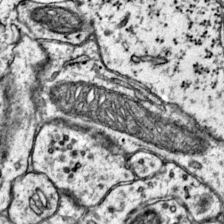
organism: Mouse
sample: Primary visual cortex